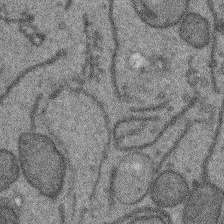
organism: Arabidopsis thaliana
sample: Root tip